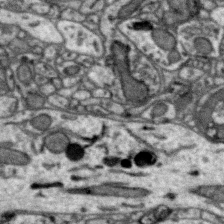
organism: Zebra finch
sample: Brain